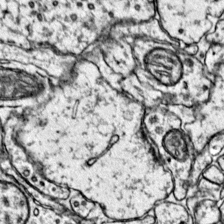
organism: Mouse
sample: Primary visual cortex